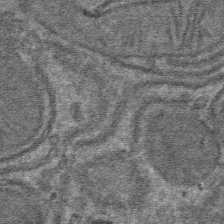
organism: Mouse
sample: Mouse hepatocytes